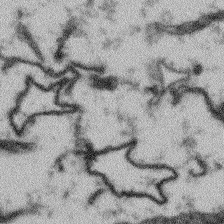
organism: Arabidopsis thaliana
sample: Root tip